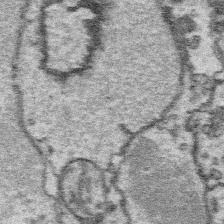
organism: Platynereis dumerilii